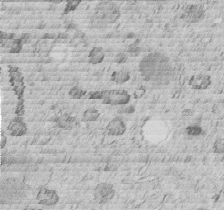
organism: C. elegans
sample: C. elegans embryo early stage